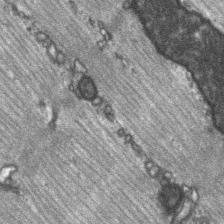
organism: C57BL Mouse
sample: Soleus